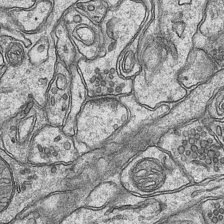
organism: Mouse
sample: CA1 Hippocampus